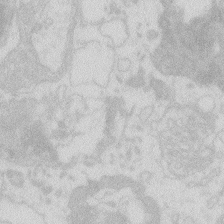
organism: Zebrafish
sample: Macrophage